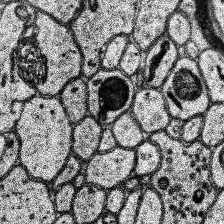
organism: Human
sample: Temporal Lobe